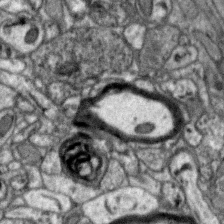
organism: Zebra finch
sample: Brain